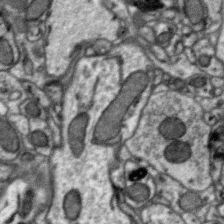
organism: Zebra finch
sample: Brain